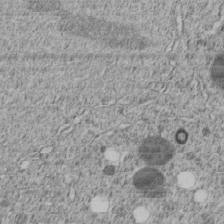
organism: C. elegans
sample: C. elegans embryo early stage